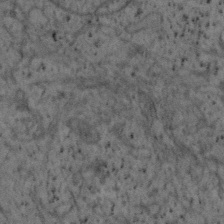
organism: Human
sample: HeLa cells